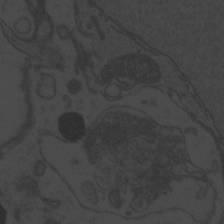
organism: Zebrafish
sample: Macrophage infected with Toxoplasma gondii